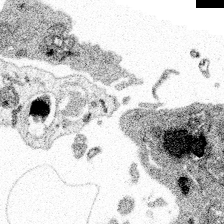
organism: Spongilla lacustris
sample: Multiple